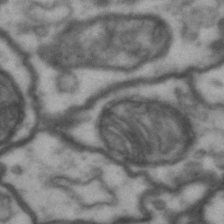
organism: Drosophila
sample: Brain